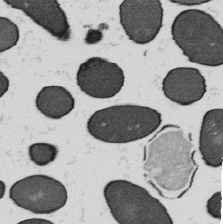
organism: B. subtilis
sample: Bacterial spore